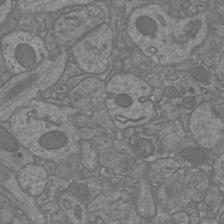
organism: Mouse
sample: Cortical neurons